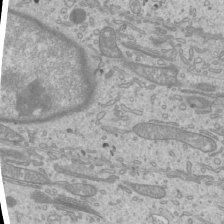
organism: Mouse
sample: Cilia; mouse epididymis